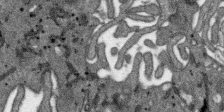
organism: Human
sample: Lung epithelial cells, uninfected (mock) control